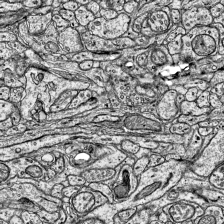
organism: Mouse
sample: Visual Cortex